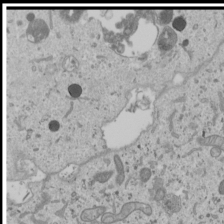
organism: Human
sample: Mitochondria in U2OS cells